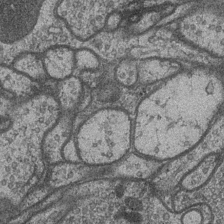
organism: Drosophila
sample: Optic medulla